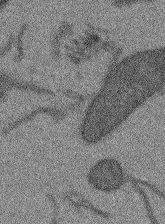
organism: Arabidopsis thaliana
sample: Root tip